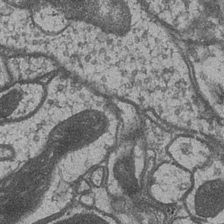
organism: Drosophila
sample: Optic medulla